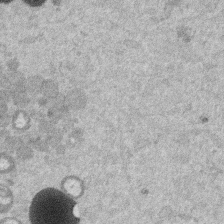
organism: Mouse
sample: Dividing mouse embryo 1 cell stage